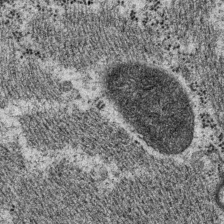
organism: P. pacificus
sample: Pharynx